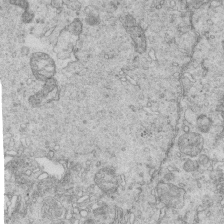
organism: Mouse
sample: Multiciliated cells